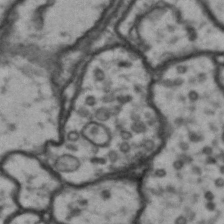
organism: Drosophila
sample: Brain